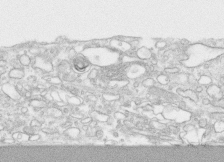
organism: Human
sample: CRL-1474